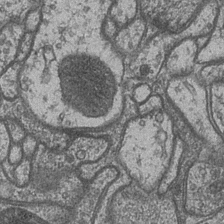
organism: Drosophila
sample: Optic medulla